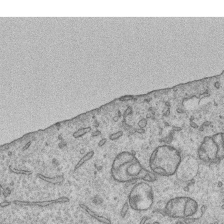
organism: Human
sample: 1205lu cells